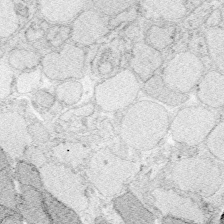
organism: Zebrafish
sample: Whole-Brain